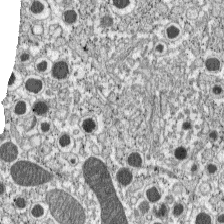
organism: C57BL Mouse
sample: Pancreatic islet